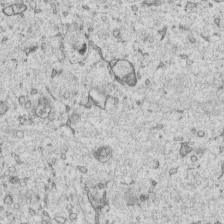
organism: Human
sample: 1205lu cells